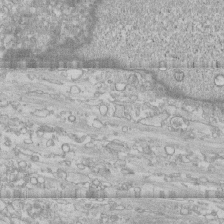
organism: Human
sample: CRL-1474